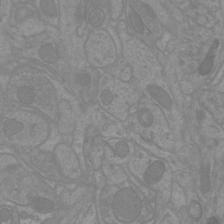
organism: Mouse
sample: Cortical neurons